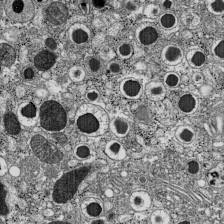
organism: C57BL Mouse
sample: Pancreatic islet